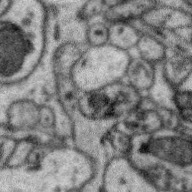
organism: Zebra finch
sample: Brain